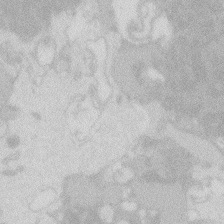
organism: Zebrafish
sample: Macrophage